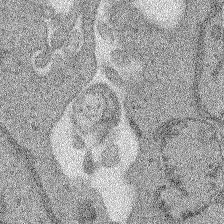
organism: Human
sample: HeLa cells